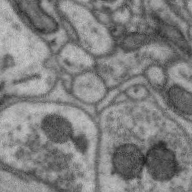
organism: Zebra finch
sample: Brain